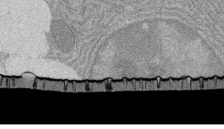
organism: Rat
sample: Salivary granule